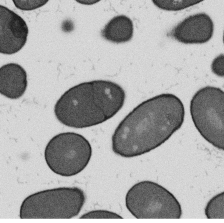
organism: B. subtilis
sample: Bacterial spore